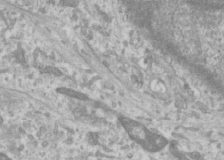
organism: Human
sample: Cilia; basal body in RPE cells